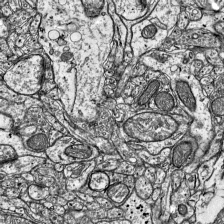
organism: Mouse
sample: Visual Cortex